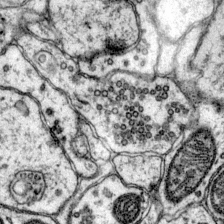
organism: Mouse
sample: Primary visual cortex